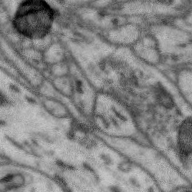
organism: Zebra finch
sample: Brain